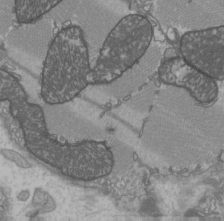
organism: C57BL Mouse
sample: Heart